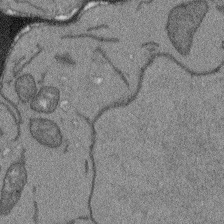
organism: Arabidopsis thaliana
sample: Root tip